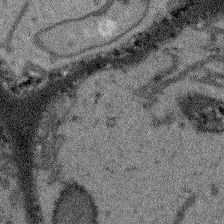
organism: Arabidopsis thaliana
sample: Root tip